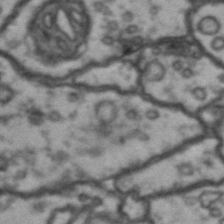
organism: Drosophila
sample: Brain